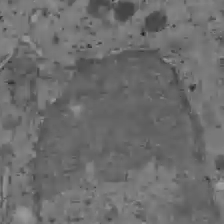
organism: C57BL Mouse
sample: Liver